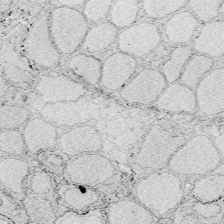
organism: Zebrafish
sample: Whole-Brain